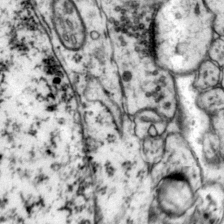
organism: Mouse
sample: Primary visual cortex